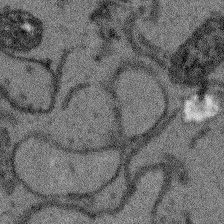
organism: Arabidopsis thaliana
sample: Root tip